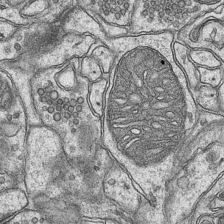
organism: Mouse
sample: CA1 Hippocampus